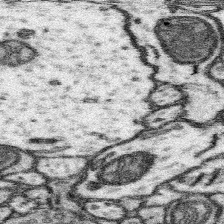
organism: Mouse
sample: Somatosensory cortex neuropil